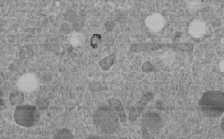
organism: C. elegans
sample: C. elegans embryo early stage